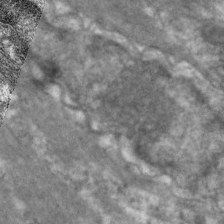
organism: C. elegans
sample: Pharynx